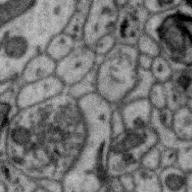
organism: Zebra finch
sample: Brain